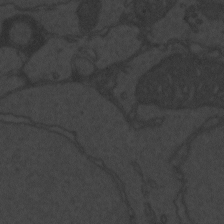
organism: Zebrafish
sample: Macrophage infected with Toxoplasma gondii